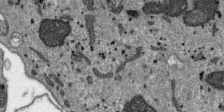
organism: Human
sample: Lung epithelial cells, uninfected (mock) control